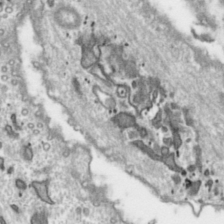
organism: Toxoplasma gondii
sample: Parasites in a vacuole inside a host cell